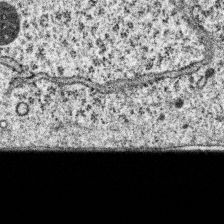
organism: Human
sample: HeLa cells